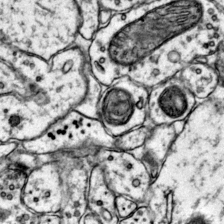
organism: Mouse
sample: Primary visual cortex